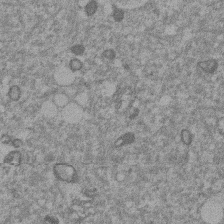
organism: Mouse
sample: Dividing mouse embryo 1 cell stage